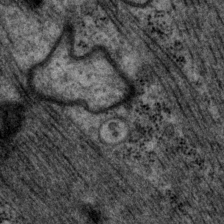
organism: P. pacificus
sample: Pharynx